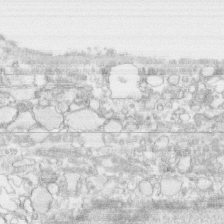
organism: Human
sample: CRL-1474